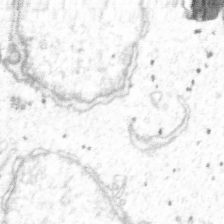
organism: Human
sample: HeLa cells